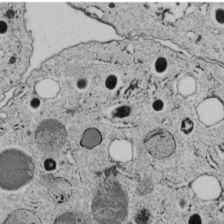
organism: C. elegans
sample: C. elegans embryo early stage